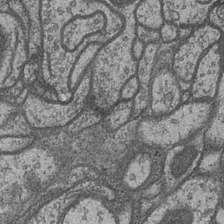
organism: Drosophila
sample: Optic medulla